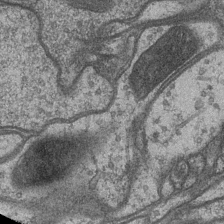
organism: Drosophila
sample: Optic medulla